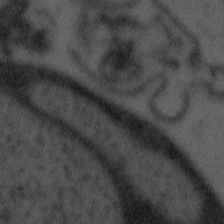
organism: Tuwongella immobilis